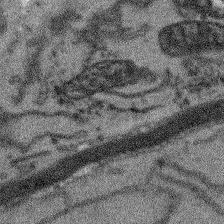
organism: Arabidopsis thaliana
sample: Root tip